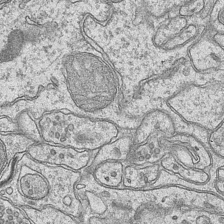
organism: Mouse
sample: CA1 Hippocampus